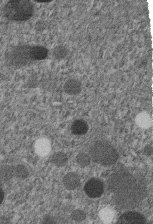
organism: C. elegans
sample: C. elegans embryo early stage